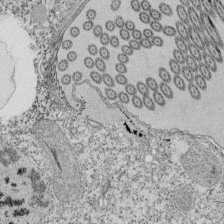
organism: Tetrahymena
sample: Cilia in tetrahymena